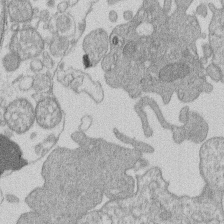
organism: Human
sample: Macrophage cells